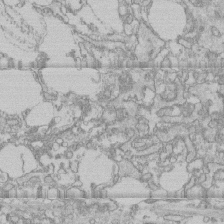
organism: Human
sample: CRL-1474